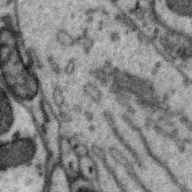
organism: Zebra finch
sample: Brain